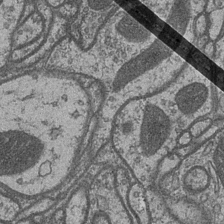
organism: Drosophila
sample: Optic medulla